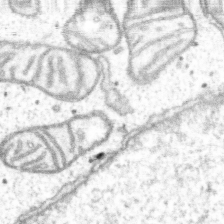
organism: Human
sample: HeLa cells